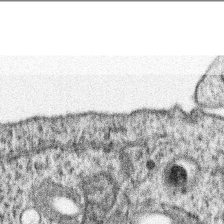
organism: Human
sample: HeLa cells